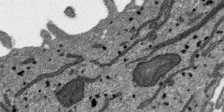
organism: Human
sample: Lung epithelial cells, uninfected (mock) control